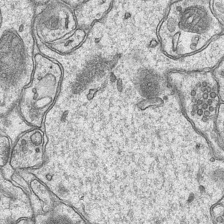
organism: Mouse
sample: CA1 Hippocampus